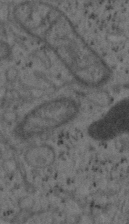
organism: Human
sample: HeLa cells